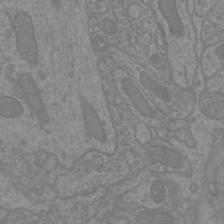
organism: Mouse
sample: Cortical neurons